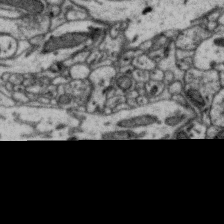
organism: Zebra finch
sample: Brain